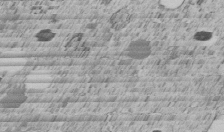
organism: C. elegans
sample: C. elegans embryo early stage